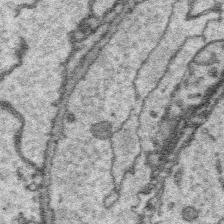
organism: Platynereis dumerilii